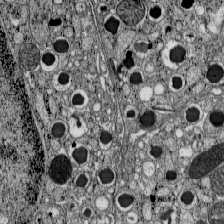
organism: C57BL Mouse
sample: Pancreatic islet